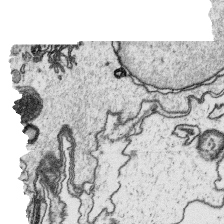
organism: Platynereis dumerilii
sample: Parapodia